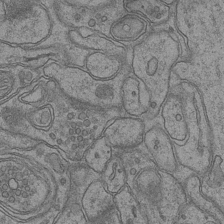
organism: Mouse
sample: CA1 Hippocampus